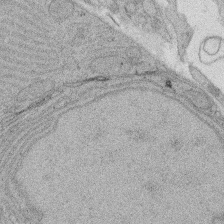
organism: Rat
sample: Salivary granule